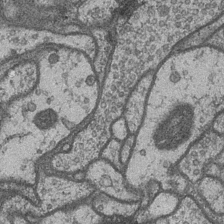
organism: Drosophila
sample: Optic medulla